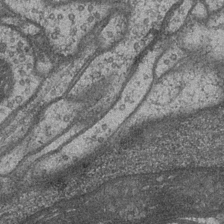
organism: Drosophila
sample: Optic medulla